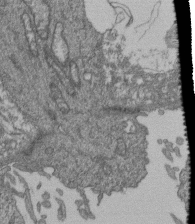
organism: Human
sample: Retinal organoid Rod and Cone cells